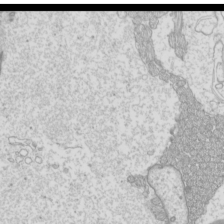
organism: Mouse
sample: Cilia; mouse epididymis